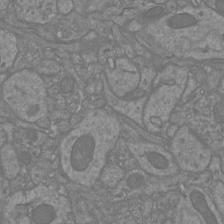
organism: Mouse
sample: Cortical neurons